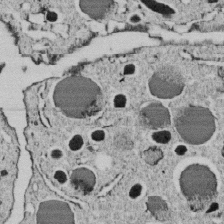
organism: C. elegans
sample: C. elegans embryo early stage